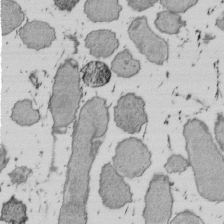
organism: E. coli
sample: Bacterial nucleoid